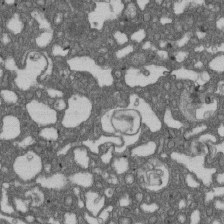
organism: Drosophila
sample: Nephrocyte